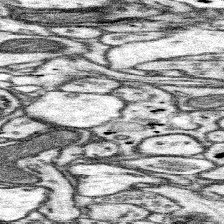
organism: Mouse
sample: Somatosensory cortex neuropil